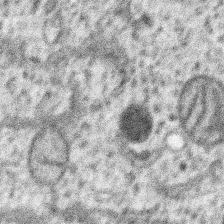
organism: Human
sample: HeLa cells